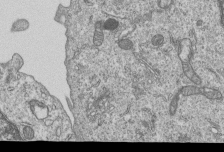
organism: Human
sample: MDA-MB-231 cells